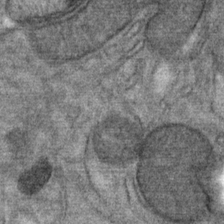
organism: Mouse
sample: Mouse Salivary gland